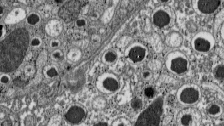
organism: C57BL Mouse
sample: Pancreatic islet